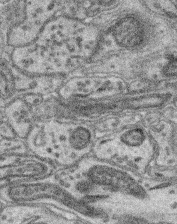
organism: Mouse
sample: Retina